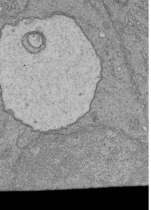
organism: Human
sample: Retinal organoid Rod and Cone cells